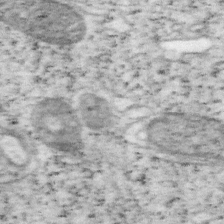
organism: Mouse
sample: OT-I killer T cells with ID8 ovarian cancer cells